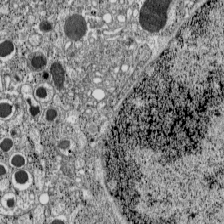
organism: C57BL Mouse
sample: Pancreatic islet